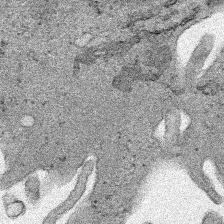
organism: Human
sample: Mitochondria in HCT116 cells